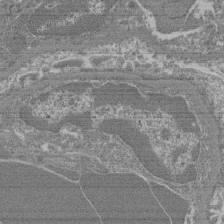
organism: Mouse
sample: Glomerulus